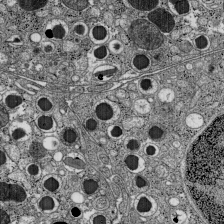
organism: C57BL Mouse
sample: Pancreatic islet